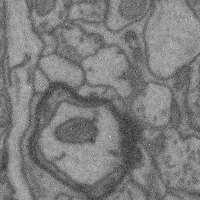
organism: Mouse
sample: Cerebral cortex